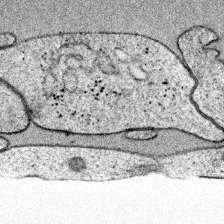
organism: Human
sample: HeLa cells